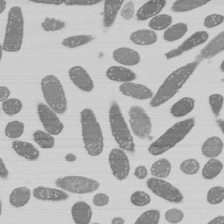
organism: E. coli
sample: Bacterial nucleoid